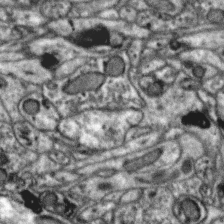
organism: Zebra finch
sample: Brain